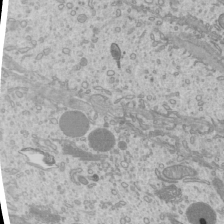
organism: Mouse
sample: Cilia; mouse epididymis